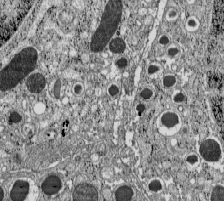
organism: C57BL Mouse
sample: Pancreatic islet